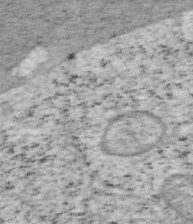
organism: Mouse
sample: OT-I killer T cells with ID8 ovarian cancer cells